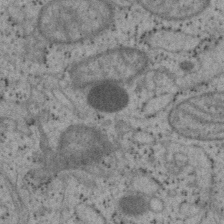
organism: Human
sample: HeLa cells